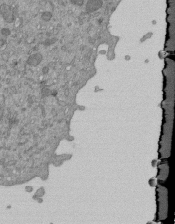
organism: Mouse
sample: ED-1 cell nuclei; centrioles